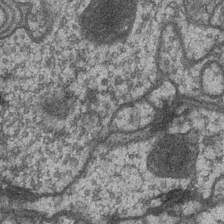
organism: Drosophila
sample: Optic medulla